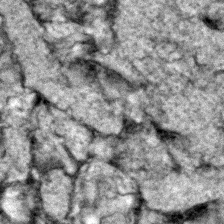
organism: Zebrafish